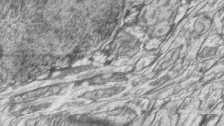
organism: Zebrafish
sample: synaptic ribbons in rod cells and cone cells